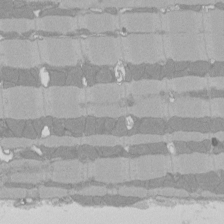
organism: Rat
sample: Left ventricle